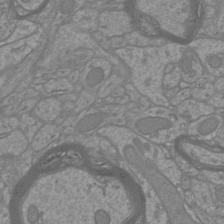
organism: Mouse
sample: Cortical neurons